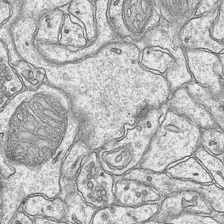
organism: Mouse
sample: CA1 Hippocampus